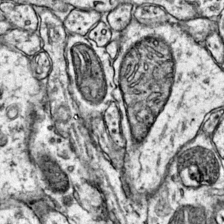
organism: Mouse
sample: Primary visual cortex